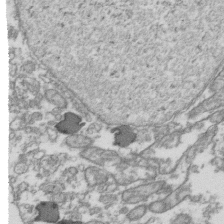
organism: Human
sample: Activated Jurkat CD4+ T cells